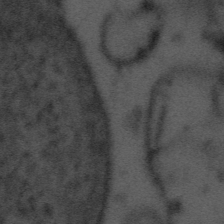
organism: Tuwongella immobilis